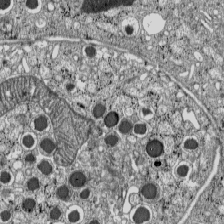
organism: C57BL Mouse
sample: Pancreatic islet